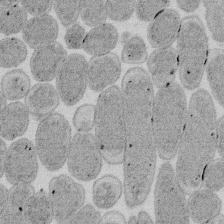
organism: E. coli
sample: Bacterial nucleoid